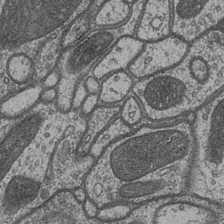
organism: Drosophila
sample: Optic medulla